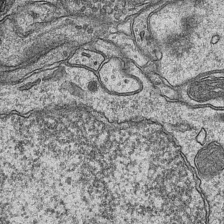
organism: Mouse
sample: CA1 Hippocampus